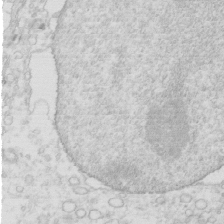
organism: Mouse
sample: Multiciliated cells